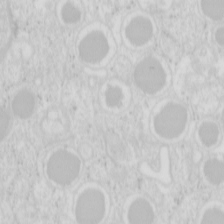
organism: Mouse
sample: Pancreas